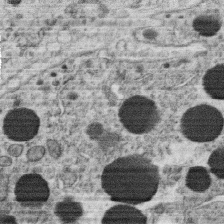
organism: C. elegans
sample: C. elegans oocyte; sperm cells